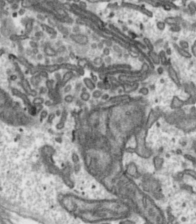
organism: Toxoplasma gondii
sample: Parasites in a vacuole inside a host cell